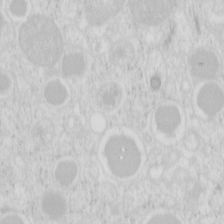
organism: Mouse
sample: Pancreas